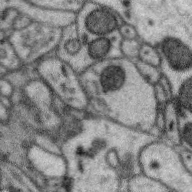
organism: Zebra finch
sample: Brain